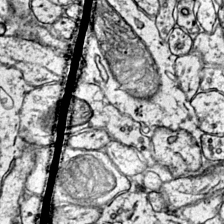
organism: Mouse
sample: Primary visual cortex